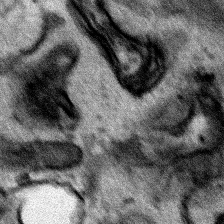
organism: Human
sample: Mitochondria in HCT116 cells